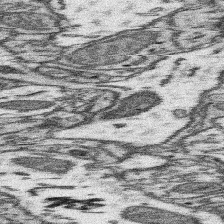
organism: Mouse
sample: Somatosensory cortex neuropil